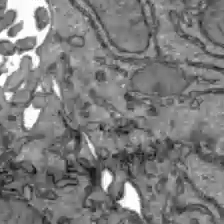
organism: C57BL Mouse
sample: Liver